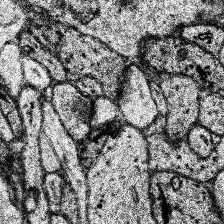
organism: Human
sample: Temporal Lobe